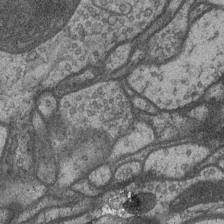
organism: Drosophila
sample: Optic medulla